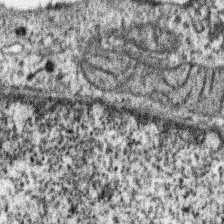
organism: Human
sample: HeLa cells